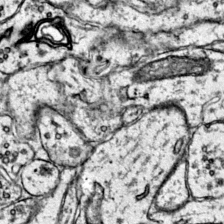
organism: Mouse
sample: Primary visual cortex